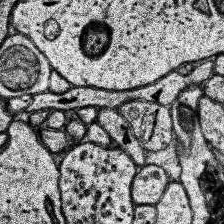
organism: Human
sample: Temporal Lobe